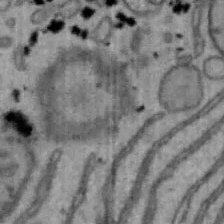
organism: Mouse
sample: Liver